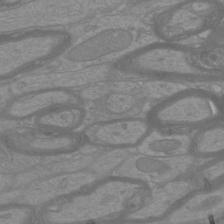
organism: Mouse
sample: Cortical neurons